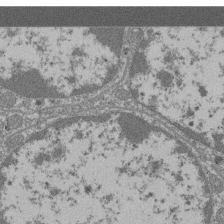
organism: Mouse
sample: Glomerulus